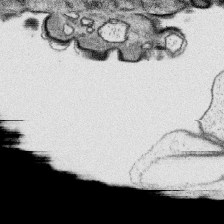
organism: Platynereis dumerilii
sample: Parapodia